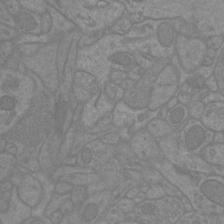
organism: Mouse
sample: Cortical neurons